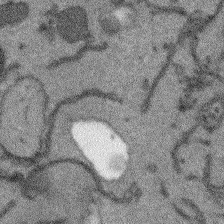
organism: Arabidopsis thaliana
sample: Root tip